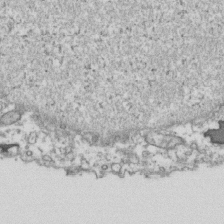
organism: Human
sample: Activated Jurkat CD4+ T cells